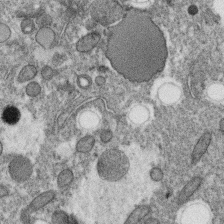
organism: C. elegans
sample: C. elegans oocyte; sperm cells